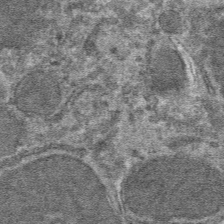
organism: Mouse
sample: Mouse hepatocytes